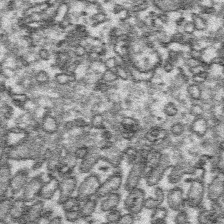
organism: Platynereis dumerilii